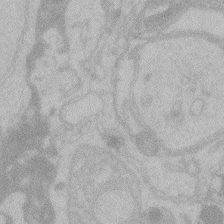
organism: Zebrafish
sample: Macrophage infected with Toxoplasma gondii